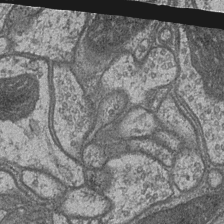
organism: Drosophila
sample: Optic medulla